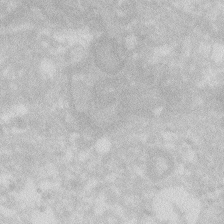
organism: Zebrafish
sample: Macrophage